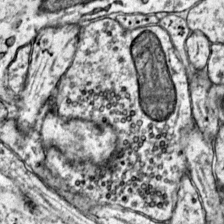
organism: Mouse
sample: Primary visual cortex